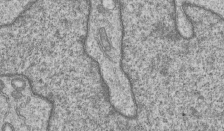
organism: Human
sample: MDA-MB-231 cells